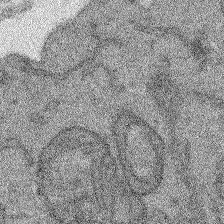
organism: Human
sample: HeLa cells